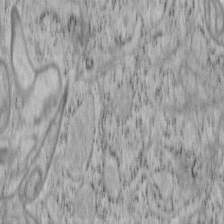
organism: Human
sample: HeLa cells